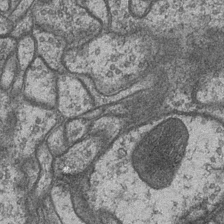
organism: Drosophila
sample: Optic medulla